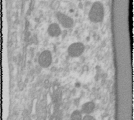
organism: Human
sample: Cilia; basal body in RPE cells